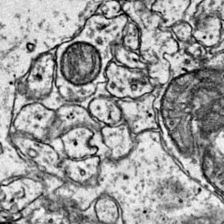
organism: Mouse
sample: Primary visual cortex